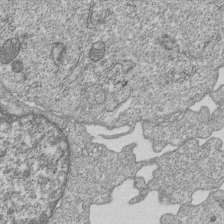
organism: Human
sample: MDA-MB-231 cells